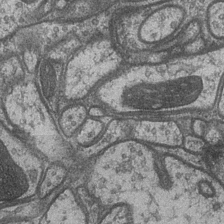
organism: Drosophila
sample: Optic medulla